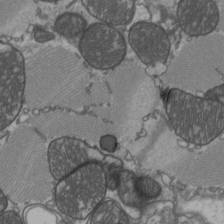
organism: C57BL Mouse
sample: Heart